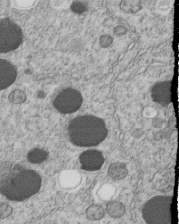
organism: C. elegans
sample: C. elegans embryo early stage